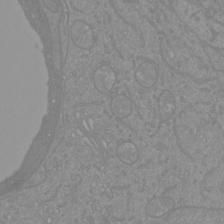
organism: Mouse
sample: Cortical neurons